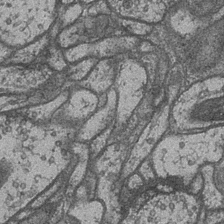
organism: Drosophila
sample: Optic medulla